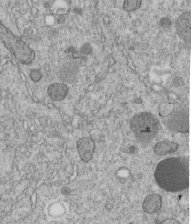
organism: C. elegans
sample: C. elegans embryo early stage